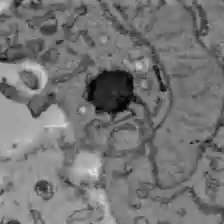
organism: C57BL Mouse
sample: Liver